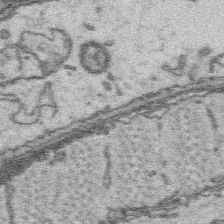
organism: Platynereis dumerilii